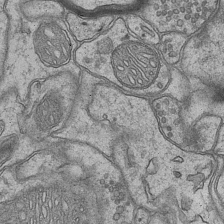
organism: Mouse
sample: CA1 Hippocampus